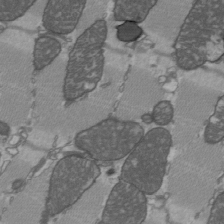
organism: C57BL Mouse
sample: Heart